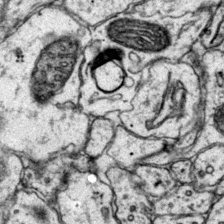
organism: Mouse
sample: Primary visual cortex